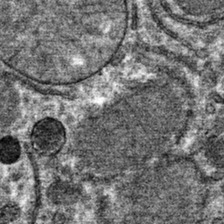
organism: Mouse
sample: Mouse hepatocytes